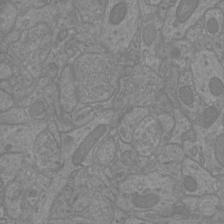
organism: Mouse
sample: Cortical neurons